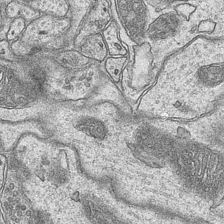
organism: Mouse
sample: CA1 Hippocampus